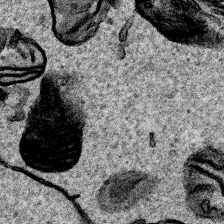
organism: Human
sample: Mitochondria in HCT116 cells